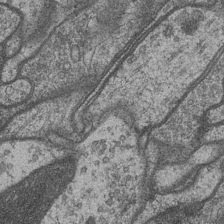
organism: Drosophila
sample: Optic medulla